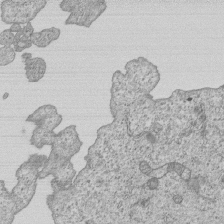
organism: Human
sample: MDA-MB-231 cells